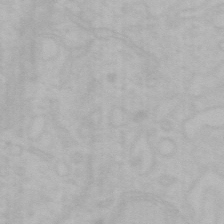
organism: Mouse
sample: Choroid plexus